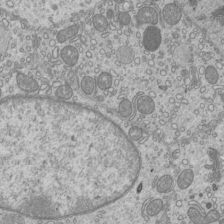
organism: Mouse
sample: Cilia; mouse epididymis